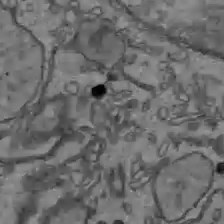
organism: C57BL Mouse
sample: Liver